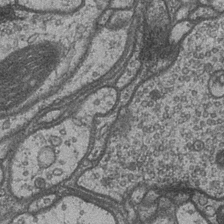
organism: Drosophila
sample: Optic medulla